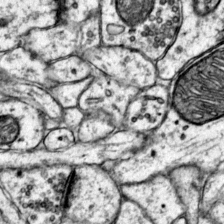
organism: Mouse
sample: Primary visual cortex